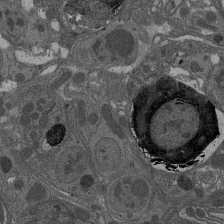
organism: Drosophila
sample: Antenna